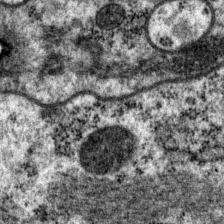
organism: P. pacificus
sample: Pharynx